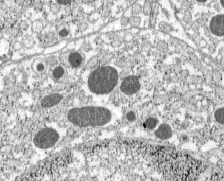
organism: C57BL Mouse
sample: Pancreatic islet